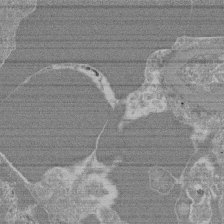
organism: Mouse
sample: Glomerulus